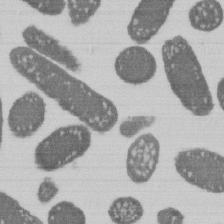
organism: E. coli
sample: Bacterial nucleoid